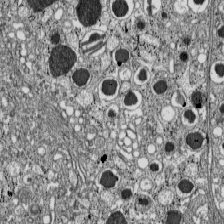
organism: C57BL Mouse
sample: Pancreatic islet